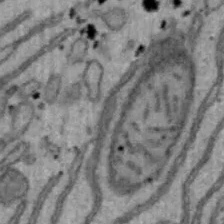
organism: Mouse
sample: Liver